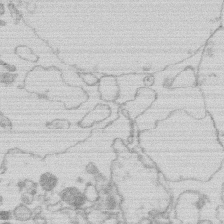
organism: Human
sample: Macrophage cells